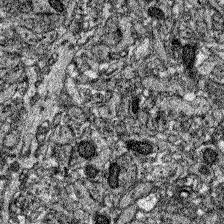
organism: Zebrafish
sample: Larval olfactory bulb